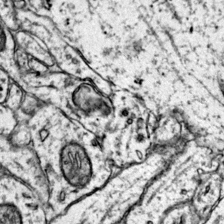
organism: Mouse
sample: Primary visual cortex